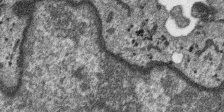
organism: Human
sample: Lung epithelial cells infected with SARS-CoV-2